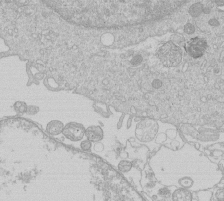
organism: Human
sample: Macrophage cells